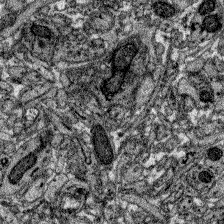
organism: Zebrafish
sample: Larval olfactory bulb